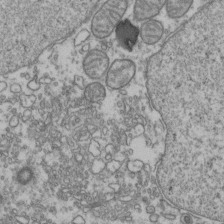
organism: Human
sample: Activated Jurkat CD4+ T cells